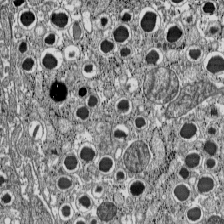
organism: C57BL Mouse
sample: Pancreatic islet